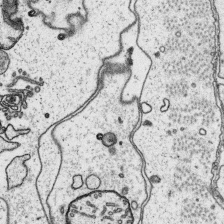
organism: Platynereis dumerilii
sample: Parapodia